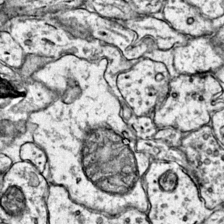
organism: Mouse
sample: Primary visual cortex